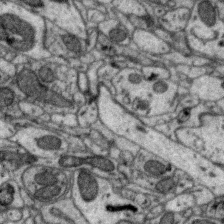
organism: Zebra finch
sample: Brain